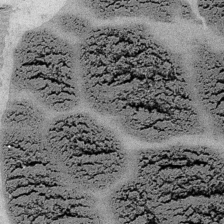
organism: Embia sp.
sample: Silk gland